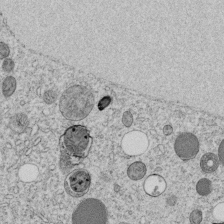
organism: C. elegans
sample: C. elegans embryo early stage